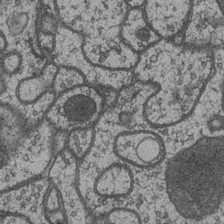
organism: Drosophila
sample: Optic medulla